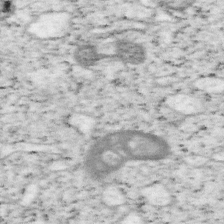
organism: Mouse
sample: OT-I killer T cells with ID8 ovarian cancer cells